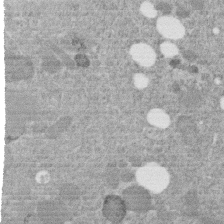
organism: C. elegans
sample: C. elegans embryo early stage